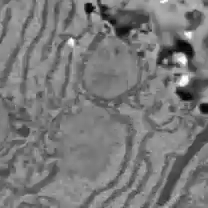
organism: C57BL Mouse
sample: Liver